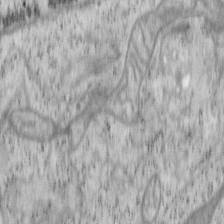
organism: Human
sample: HeLa cells